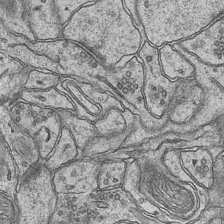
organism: Mouse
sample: CA1 Hippocampus